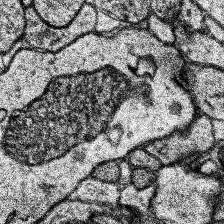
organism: Human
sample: Temporal Lobe